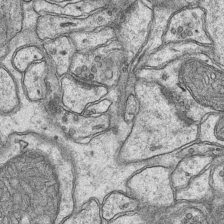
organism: Mouse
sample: CA1 Hippocampus